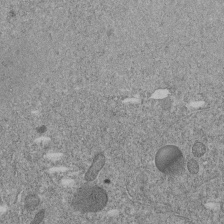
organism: C. elegans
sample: C. elegans embryo early stage